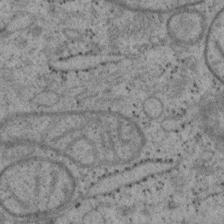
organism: Human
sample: HeLa cells